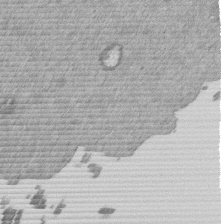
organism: Mouse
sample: Dividing mouse embryo 1 cell stage